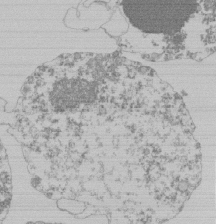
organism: Mouse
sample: Activated Pmel transgenic CD8+ T Cells